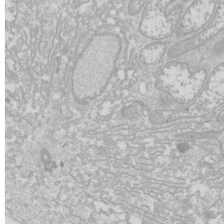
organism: Drosophila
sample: Cell division; meiosis; drosophila spermatocytes